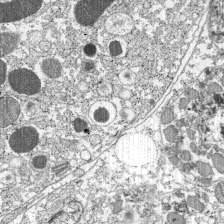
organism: C57BL Mouse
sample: Pancreatic islet